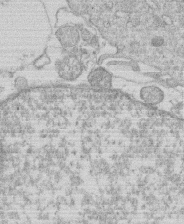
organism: Human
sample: Macrophage cells